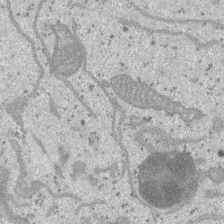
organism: Human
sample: Lung epithelial cells infected with SARS-CoV-2